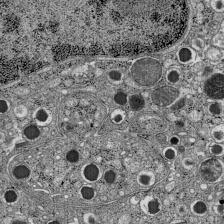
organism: C57BL Mouse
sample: Pancreatic islet